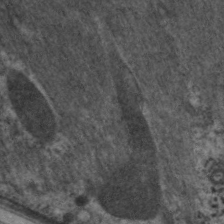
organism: C. elegans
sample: Pharynx